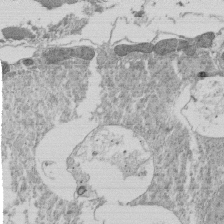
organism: Tetrahymena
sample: Cilia in tetrahymena